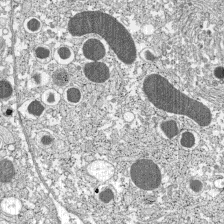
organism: C57BL Mouse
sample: Pancreatic islet